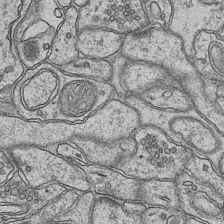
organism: Mouse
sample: CA1 Hippocampus